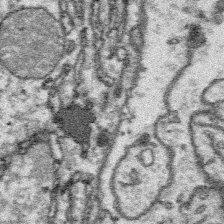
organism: Platynereis dumerilii